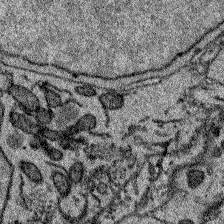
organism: Zebrafish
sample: Larval olfactory bulb